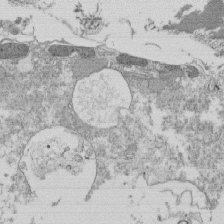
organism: Tetrahymena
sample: Cilia in tetrahymena